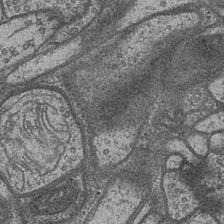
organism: Drosophila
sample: Optic medulla